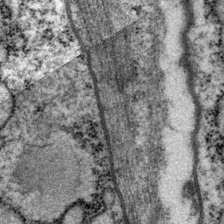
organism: P. pacificus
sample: Pharynx